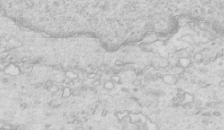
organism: Mouse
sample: Multiciliated cells